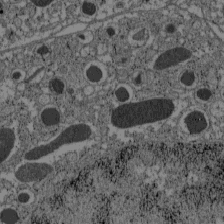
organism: C57BL Mouse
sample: Pancreatic islet